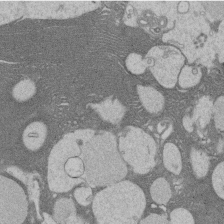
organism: Rat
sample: Salivary granule